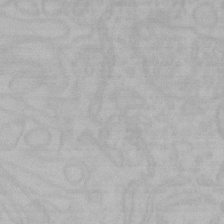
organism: Mouse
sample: Choroid plexus